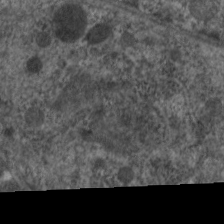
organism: C. elegans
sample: Pharynx